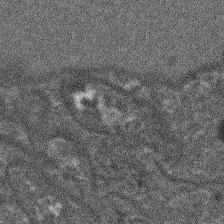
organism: Arabidopsis thaliana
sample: Root tip